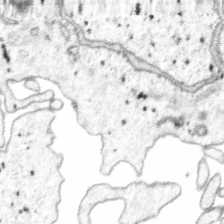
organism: Human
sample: HeLa cells